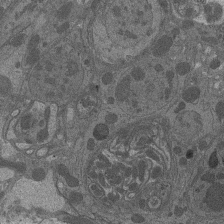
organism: Drosophila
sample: Antenna